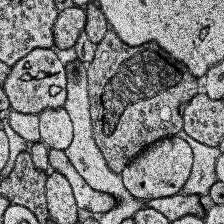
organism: Human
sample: Temporal Lobe